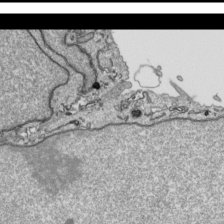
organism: Human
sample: Mitochondria in HCT116 cells